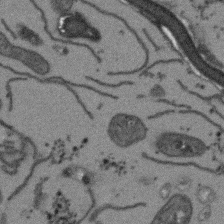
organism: Arabidopsis thaliana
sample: Root tip